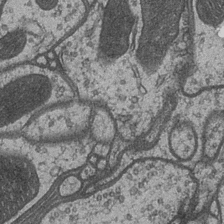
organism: Drosophila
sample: Optic medulla